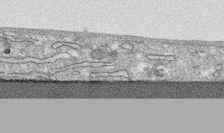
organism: Human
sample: CRL-1474